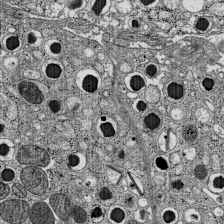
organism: C57BL Mouse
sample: Pancreatic islet